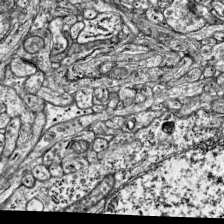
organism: Mouse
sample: Visual Cortex